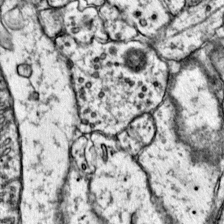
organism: Mouse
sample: Primary visual cortex